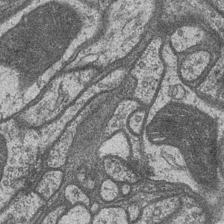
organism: Drosophila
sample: Optic medulla